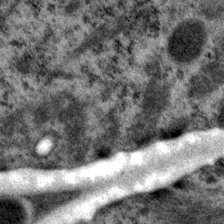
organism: P. pacificus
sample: Pharynx